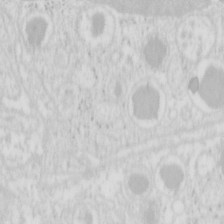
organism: Mouse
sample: Pancreas